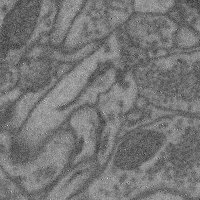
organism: Mouse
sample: Cerebral cortex